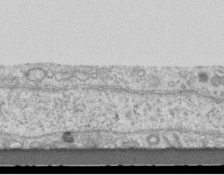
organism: Mouse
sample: Centriole in ependymal cells